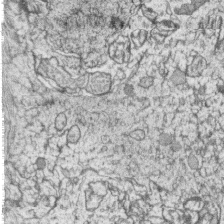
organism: Zebrafish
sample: synaptic ribbons in rod cells and cone cells